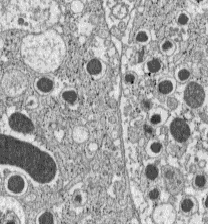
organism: C57BL Mouse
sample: Pancreatic islet